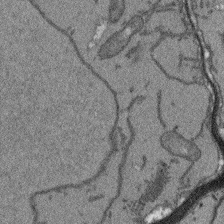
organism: Arabidopsis thaliana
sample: Root tip